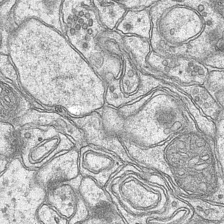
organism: Mouse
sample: CA1 Hippocampus